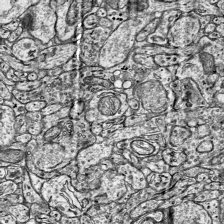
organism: Mouse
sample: Visual Cortex